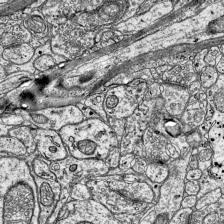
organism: Mouse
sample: Visual Cortex